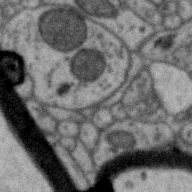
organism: Zebra finch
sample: Brain